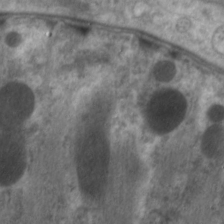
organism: C. elegans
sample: Pharynx